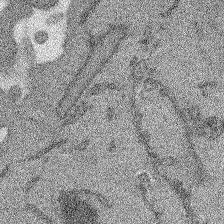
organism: Human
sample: HeLa cells